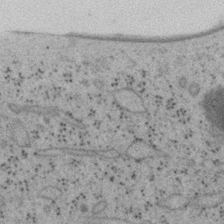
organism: Human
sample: HeLa cells